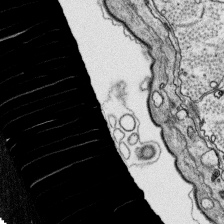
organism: Platynereis dumerilii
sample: Parapodia